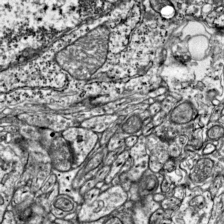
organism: Mouse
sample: Visual Cortex